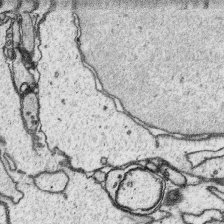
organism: Platynereis dumerilii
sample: Parapodia